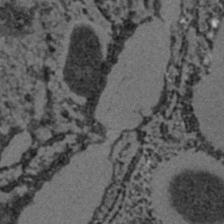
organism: C. elegans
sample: C. elegans embryo